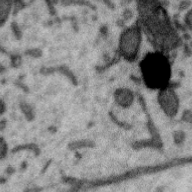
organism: Zebra finch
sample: Brain